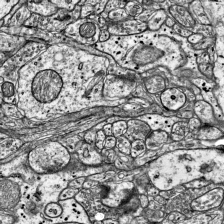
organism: Mouse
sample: Visual Cortex